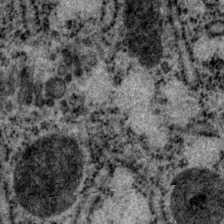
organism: P. pacificus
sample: Pharynx